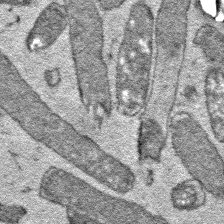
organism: E. coli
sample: E. Coli Bacteria